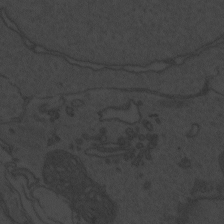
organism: Zebrafish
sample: Macrophage infected with Toxoplasma gondii